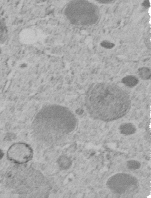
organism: C. elegans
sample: C. elegans embryo early stage